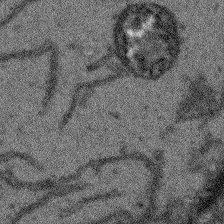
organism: Arabidopsis thaliana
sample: Root tip